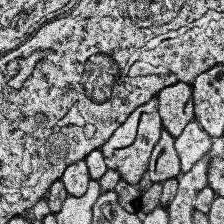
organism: Human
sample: Temporal Lobe